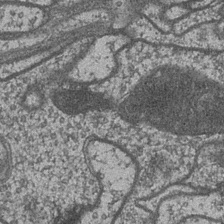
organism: Drosophila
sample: Optic medulla